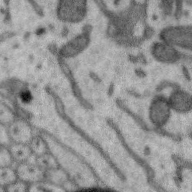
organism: Zebra finch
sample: Brain